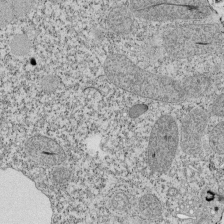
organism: Tetrahymena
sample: Cilia in tetrahymena